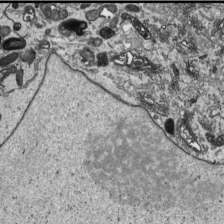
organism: Human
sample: Mitochondria in HCT116 cells